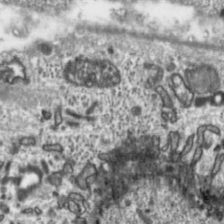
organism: Toxoplasma gondii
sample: Parasites in a vacuole inside a host cell